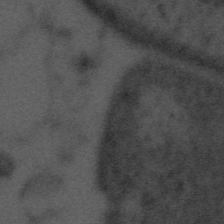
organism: Tuwongella immobilis